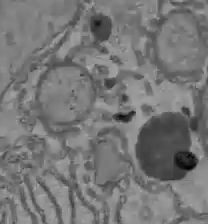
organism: C57BL Mouse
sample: Liver